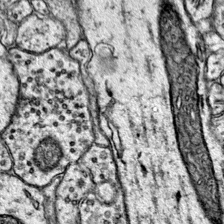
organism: Mouse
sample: Primary visual cortex